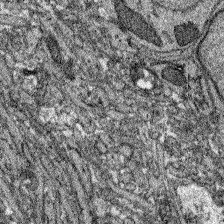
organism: Zebrafish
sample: Larval olfactory bulb